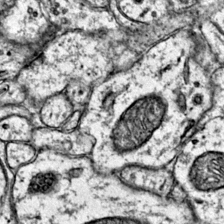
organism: Mouse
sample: Primary visual cortex